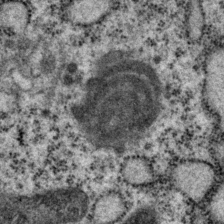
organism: P. pacificus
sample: Pharynx